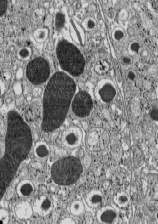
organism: C57BL Mouse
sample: Pancreatic islet